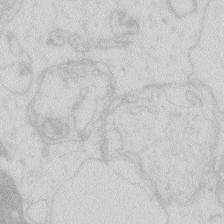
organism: Zebrafish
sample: Macrophage